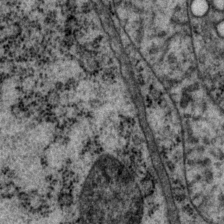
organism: P. pacificus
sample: Pharynx